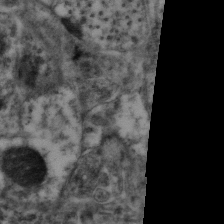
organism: Mouse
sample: Neocortex